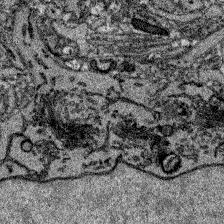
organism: Zebrafish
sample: Larval olfactory bulb